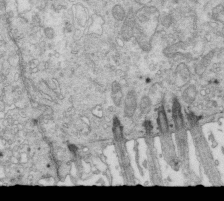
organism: Mouse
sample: Multiciliated cells